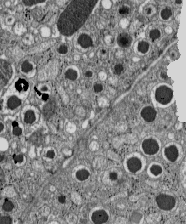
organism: C57BL Mouse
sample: Pancreatic islet